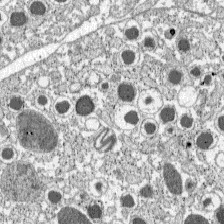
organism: C57BL Mouse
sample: Pancreatic islet